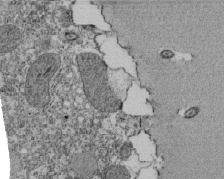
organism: Tetrahymena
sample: Cilia in tetrahymena